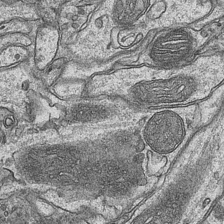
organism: Mouse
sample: CA1 Hippocampus